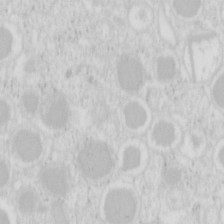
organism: Mouse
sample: Pancreas